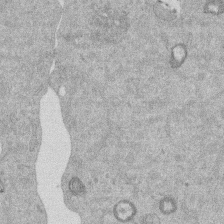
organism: Mouse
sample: Dividing mouse embryo 1 cell stage